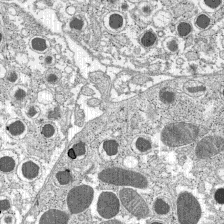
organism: C57BL Mouse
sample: Pancreatic islet